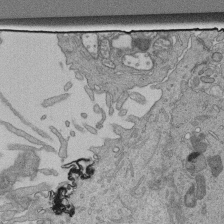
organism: Human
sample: Retinal organoid Rod and Cone cells